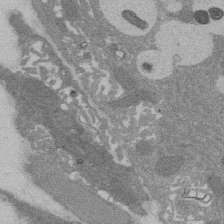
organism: Rat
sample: Salivary granule